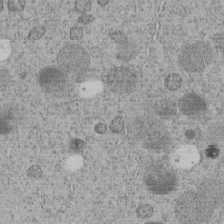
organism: C. elegans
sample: C. elegans embryo early stage